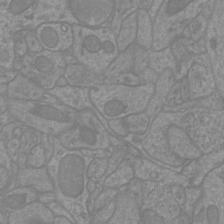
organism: Mouse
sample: Cortical neurons